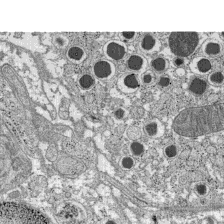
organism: C57BL Mouse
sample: Pancreatic islet